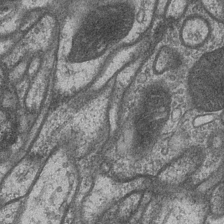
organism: Drosophila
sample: Optic medulla